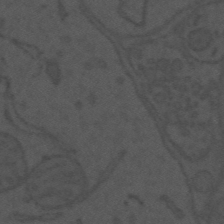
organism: Mouse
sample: Suprachiasmatic nucleus